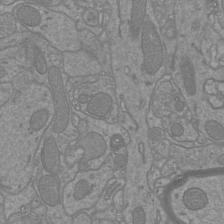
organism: Mouse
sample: Cortical neurons